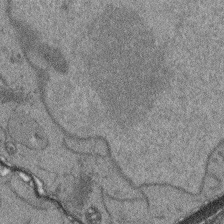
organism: Arabidopsis thaliana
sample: Root tip